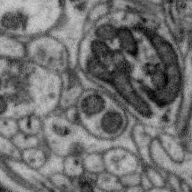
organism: Zebra finch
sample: Brain